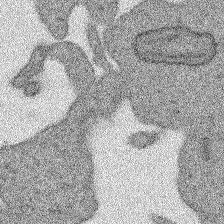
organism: Human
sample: HeLa cells